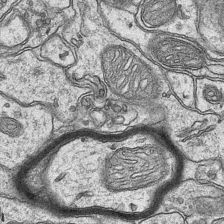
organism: Mouse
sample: CA1 Hippocampus